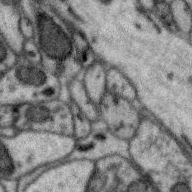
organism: Zebra finch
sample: Brain